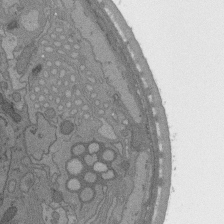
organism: C. elegans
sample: AFD neurons C. elegans